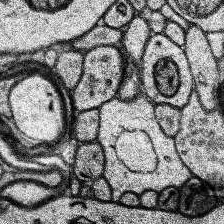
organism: Human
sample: Temporal Lobe